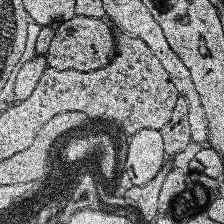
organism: Human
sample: Temporal Lobe